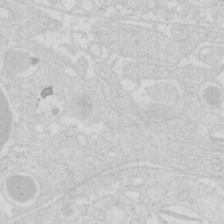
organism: Mouse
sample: Pancreas